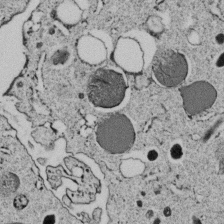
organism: C. elegans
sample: C. elegans embryo early stage